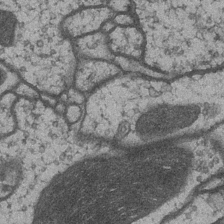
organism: Drosophila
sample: Optic medulla